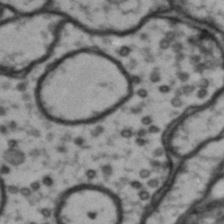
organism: Drosophila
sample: Brain